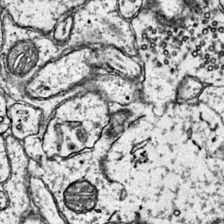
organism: Mouse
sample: Primary visual cortex